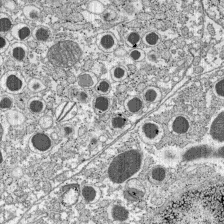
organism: C57BL Mouse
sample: Pancreatic islet